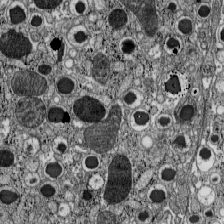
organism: C57BL Mouse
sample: Pancreatic islet